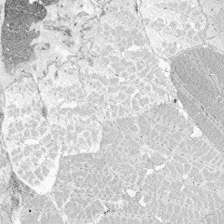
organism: Zebrafish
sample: Whole-Brain